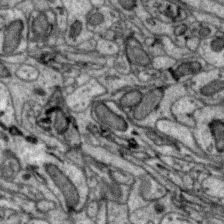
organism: Zebra finch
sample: Brain